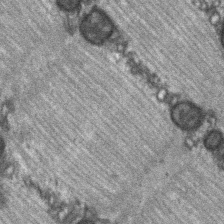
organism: C57BL Mouse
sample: Soleus